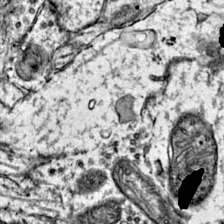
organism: Mouse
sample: Primary visual cortex